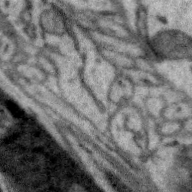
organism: Zebra finch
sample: Brain